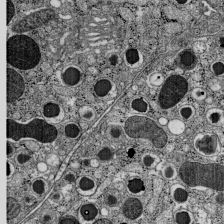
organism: C57BL Mouse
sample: Pancreatic islet